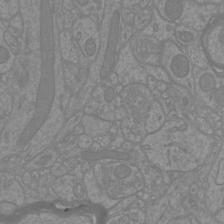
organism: Mouse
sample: Cortical neurons